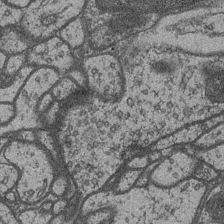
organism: Drosophila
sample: Optic medulla